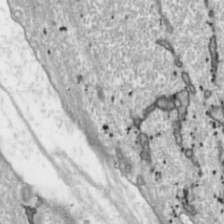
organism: Toxoplasma gondii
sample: Parasites in a vacuole inside a host cell